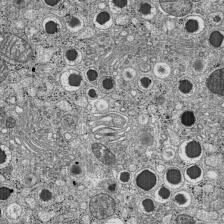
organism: C57BL Mouse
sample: Pancreatic islet